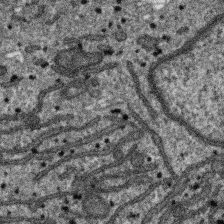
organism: Human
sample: Lung epithelial cells infected with SARS-CoV-2